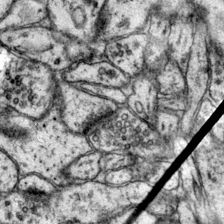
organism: Mouse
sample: Primary visual cortex